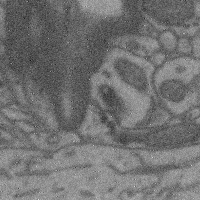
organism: Mouse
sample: Cerebral cortex